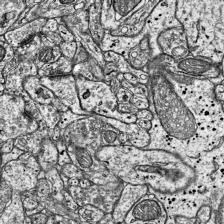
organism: Mouse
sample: Visual Cortex